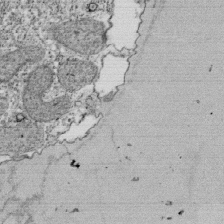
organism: Tetrahymena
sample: Cilia in tetrahymena